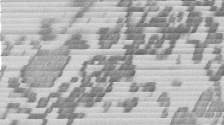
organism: Mouse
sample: Dividing mouse embryo 1 cell stage